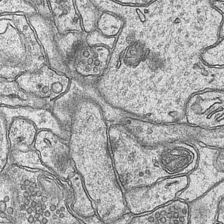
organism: Mouse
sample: CA1 Hippocampus